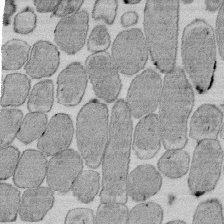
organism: E. coli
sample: Bacterial nucleoid